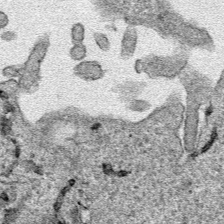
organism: Human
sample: Mitochondria in HCT116 cells